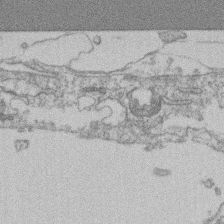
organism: Mouse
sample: T cell stromal cell synapse